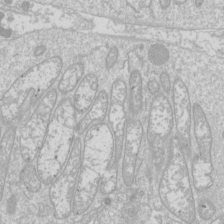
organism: Drosophila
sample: Cell division; meiosis; drosophila spermatocytes